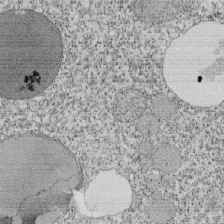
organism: Tetrahymena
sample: Cilia in tetrahymena